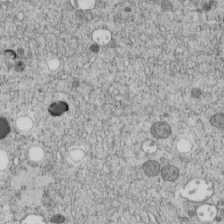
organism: C. elegans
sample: C. elegans embryo early stage